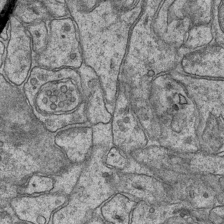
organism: Mouse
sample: CA1 Hippocampus